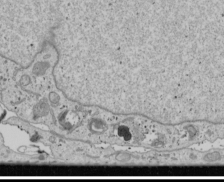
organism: Human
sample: Mitochondria in U2OS cells